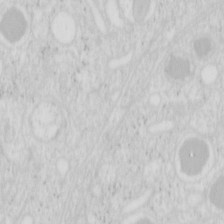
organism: Mouse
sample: Pancreas